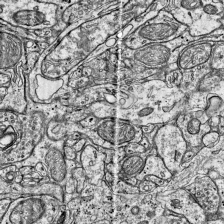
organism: Mouse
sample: Visual Cortex